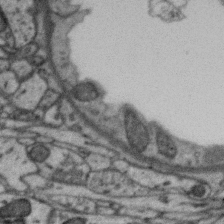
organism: Zebra finch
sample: Brain